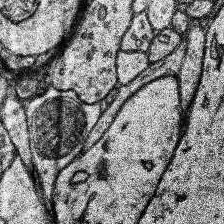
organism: Human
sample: Temporal Lobe